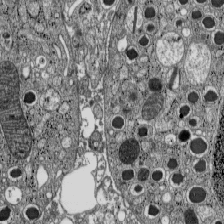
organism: C57BL Mouse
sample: Pancreatic islet